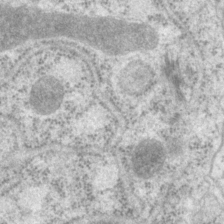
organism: P. pacificus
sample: Pharynx